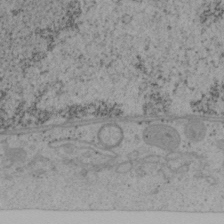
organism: Human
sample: HeLa cells